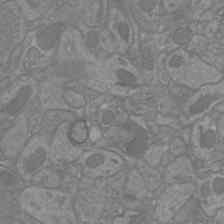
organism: Mouse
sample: Cortical neurons